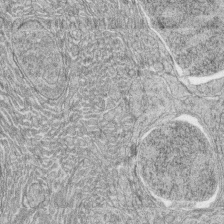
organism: Zebrafish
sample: synaptic ribbons in rod cells and cone cells